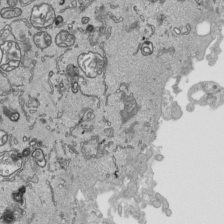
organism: Human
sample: Mitochondria in HCT116 cells